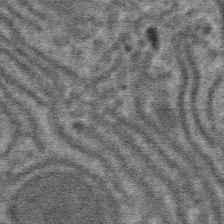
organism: Mouse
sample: Mouse hepatocytes